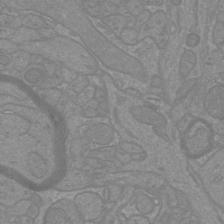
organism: Mouse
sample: Cortical neurons